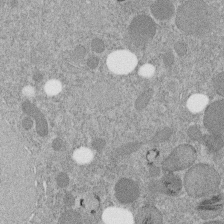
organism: C. elegans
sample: C. elegans embryo early stage